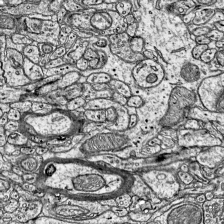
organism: Mouse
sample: Visual Cortex